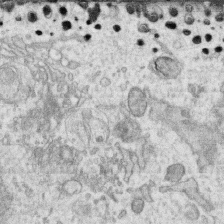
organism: Human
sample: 1205lu cells